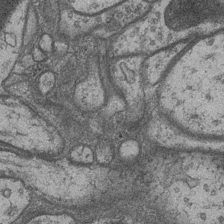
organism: Drosophila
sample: Optic medulla